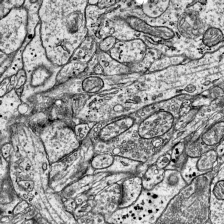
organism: Mouse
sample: Visual Cortex